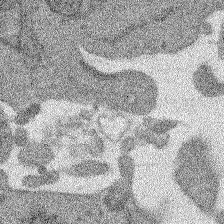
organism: Human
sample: HeLa cells